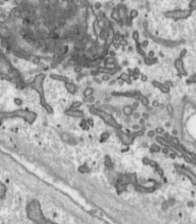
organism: Toxoplasma gondii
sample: Parasites in a vacuole inside a host cell